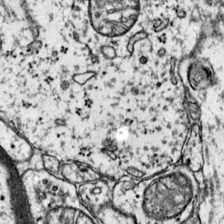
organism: Mouse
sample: Primary visual cortex